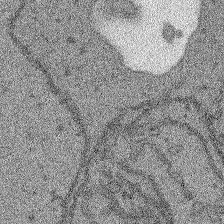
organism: Human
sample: HeLa cells